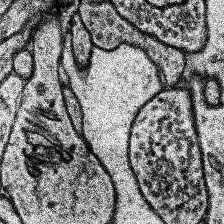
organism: Human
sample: Temporal Lobe